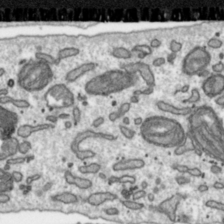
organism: Toxoplasma gondii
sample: Parasites in a vacuole inside a host cell